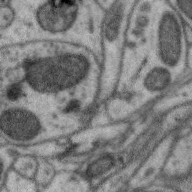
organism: Zebra finch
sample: Brain